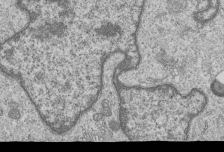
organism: Human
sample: MDA-MB-231 cells